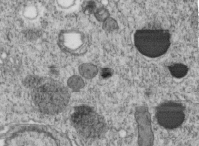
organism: C. elegans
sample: C. elegans embryo early stage